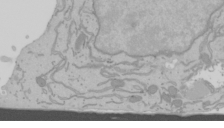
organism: Mouse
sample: Cancer cell death in ED-1 cells